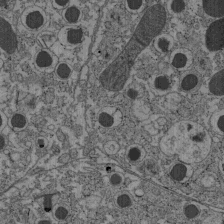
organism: C57BL Mouse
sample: Pancreatic islet